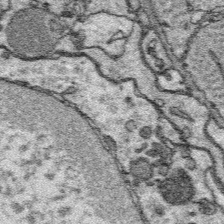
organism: Platynereis dumerilii